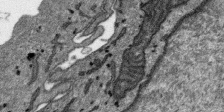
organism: Human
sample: Lung epithelial cells, uninfected (mock) control